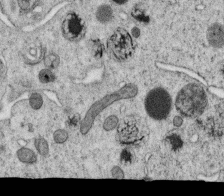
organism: C. elegans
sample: C. elegans oocyte; sperm cells